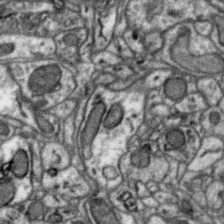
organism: Zebra finch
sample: Brain